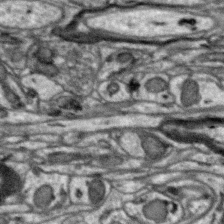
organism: Zebra finch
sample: Brain